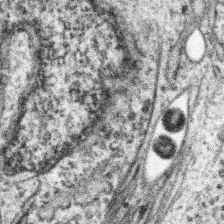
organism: Human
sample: HeLa cells